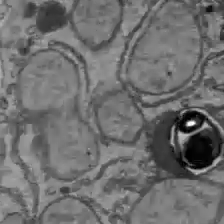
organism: C57BL Mouse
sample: Liver